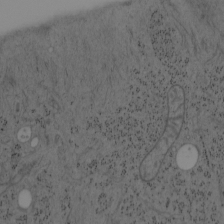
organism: Mouse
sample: OT-I killer T cells with ID8 ovarian cancer cells